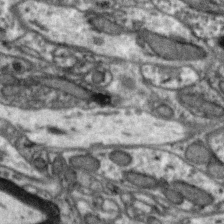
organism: Zebra finch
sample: Brain